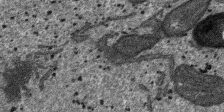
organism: Human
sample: Lung epithelial cells infected with SARS-CoV-2